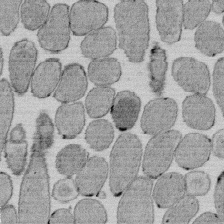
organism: E. coli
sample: Bacterial nucleoid